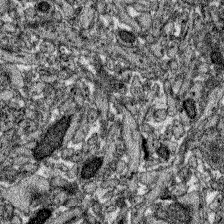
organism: Zebrafish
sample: Larval olfactory bulb